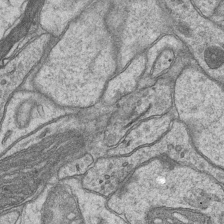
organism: Mouse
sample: CA1 Hippocampus